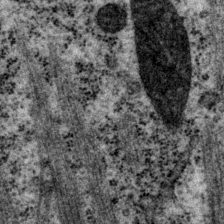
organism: P. pacificus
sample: Pharynx